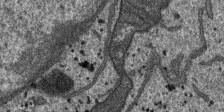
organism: Human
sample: Lung epithelial cells infected with SARS-CoV-2